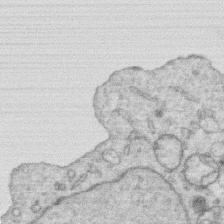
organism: Human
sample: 1205lu cells